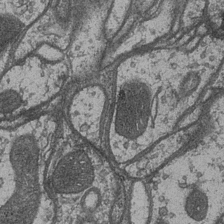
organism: Drosophila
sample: Optic medulla